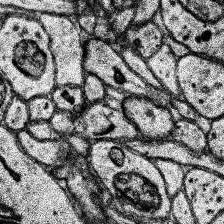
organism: Human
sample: Temporal Lobe